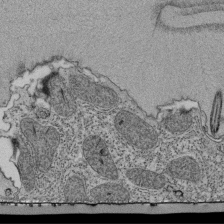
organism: Tetrahymena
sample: Cilia in tetrahymena